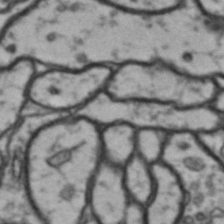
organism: Drosophila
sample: Brain